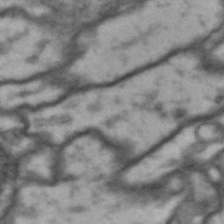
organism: Drosophila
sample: Brain